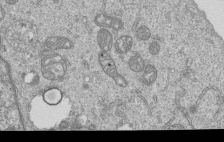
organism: Human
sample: MDA-MB-231 cells